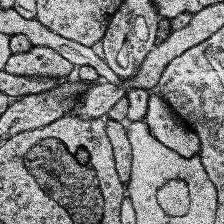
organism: Human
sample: Temporal Lobe